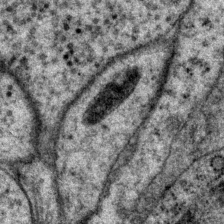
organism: P. pacificus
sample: Pharynx